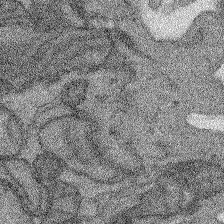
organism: Human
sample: HeLa cells